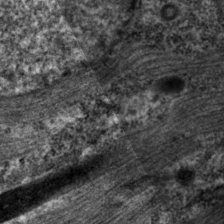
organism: P. pacificus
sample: Pharynx